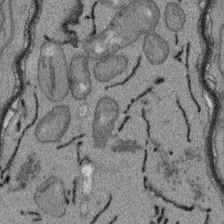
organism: Arabidopsis thaliana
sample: Root tip